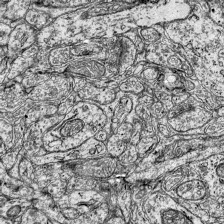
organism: Mouse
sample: Visual Cortex